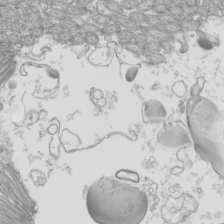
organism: Mouse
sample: Cilia; mouse epididymis